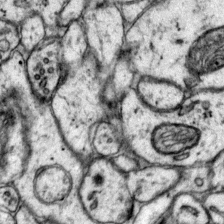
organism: Mouse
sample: Primary visual cortex